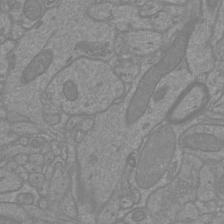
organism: Mouse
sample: Cortical neurons